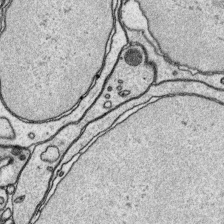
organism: Platynereis dumerilii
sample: Parapodia